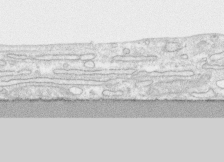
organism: Human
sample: CRL-1474